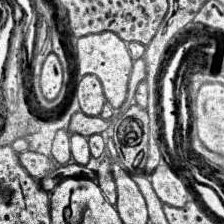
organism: Human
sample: Temporal Lobe